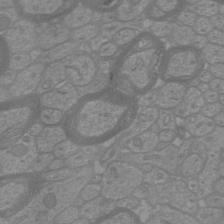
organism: Mouse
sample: Cortical neurons